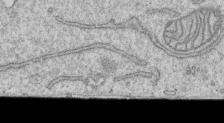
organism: Human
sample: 1205lu cells